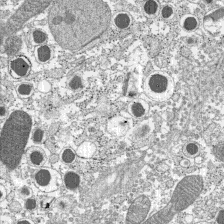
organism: C57BL Mouse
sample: Pancreatic islet